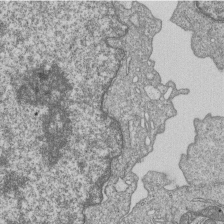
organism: Human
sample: MDA-MB-231 cells